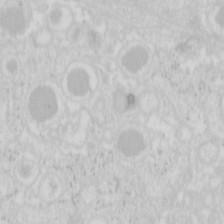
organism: Mouse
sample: Pancreas